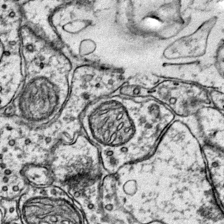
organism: Mouse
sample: Primary visual cortex